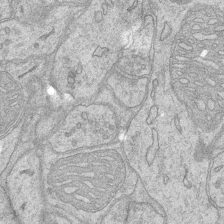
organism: Mouse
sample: CA1 Hippocampus